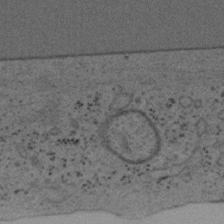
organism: Human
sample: HeLa cells